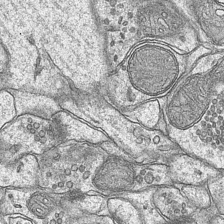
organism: Mouse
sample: CA1 Hippocampus